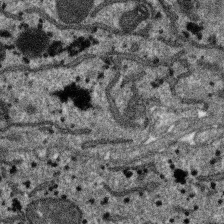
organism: Human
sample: Lung epithelial cells infected with SARS-CoV-2